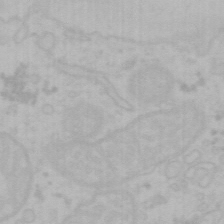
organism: Mouse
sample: Choroid plexus